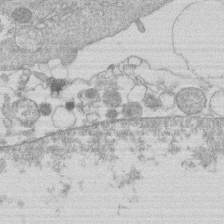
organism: Human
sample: Macrophage cells